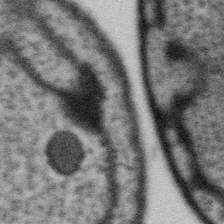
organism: Gemmata obscuriglobus